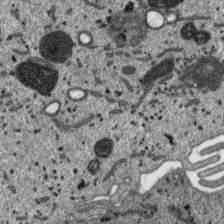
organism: Human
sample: Lung epithelial cells infected with SARS-CoV-2